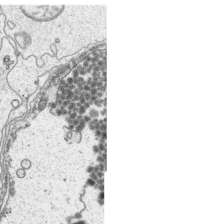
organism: Platynereis dumerilii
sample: Parapodia